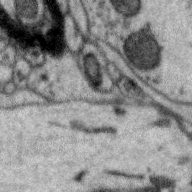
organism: Zebra finch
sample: Brain